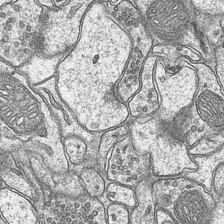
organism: Mouse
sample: CA1 Hippocampus